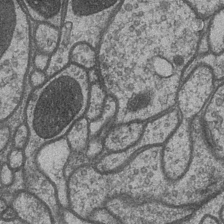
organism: Drosophila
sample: Optic medulla